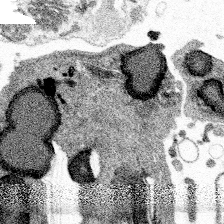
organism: Spongilla lacustris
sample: Multiple